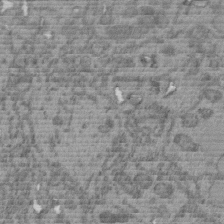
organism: C. elegans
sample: C. elegans embryo early stage